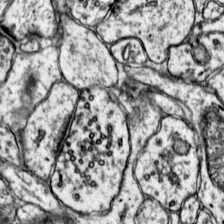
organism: Mouse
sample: Primary visual cortex